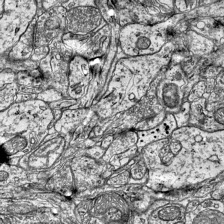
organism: Mouse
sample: Visual Cortex